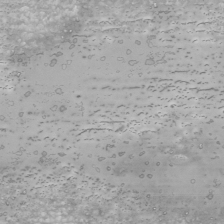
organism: Human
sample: Mitochondria in U2OS cells